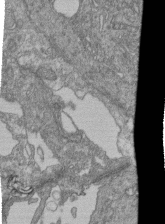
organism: Human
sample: Retinal organoid Rod and Cone cells